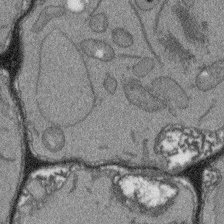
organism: Arabidopsis thaliana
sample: Root tip